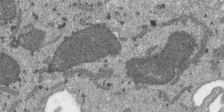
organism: Human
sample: Lung epithelial cells infected with SARS-CoV-2